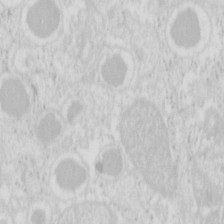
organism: Mouse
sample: Pancreas